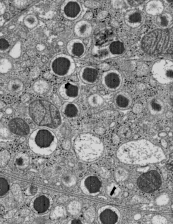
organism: C57BL Mouse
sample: Pancreatic islet